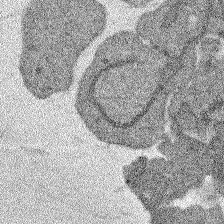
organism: Human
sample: HeLa cells